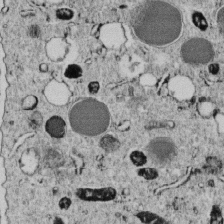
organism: C. elegans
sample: C. elegans embryo early stage